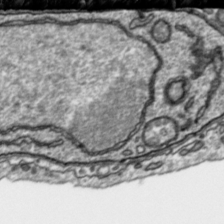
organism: Toxoplasma gondii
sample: Parasites in a vacuole inside a host cell